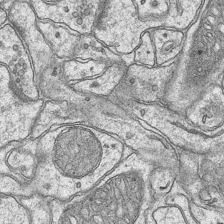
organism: Mouse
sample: CA1 Hippocampus